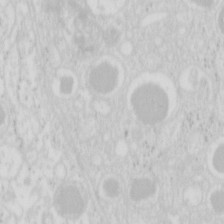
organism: Mouse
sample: Pancreas